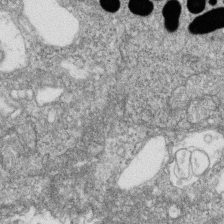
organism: Zebrafish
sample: Cilia; retinal pigment epithelium